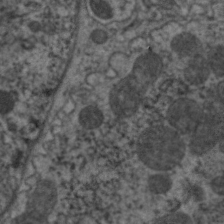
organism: C. elegans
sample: Pharynx